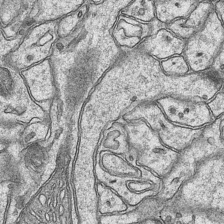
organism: Mouse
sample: CA1 Hippocampus